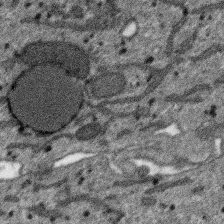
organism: Human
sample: Lung epithelial cells infected with SARS-CoV-2